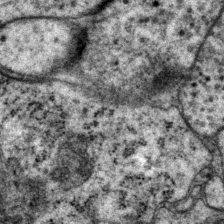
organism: P. pacificus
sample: Pharynx